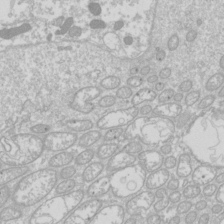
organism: Drosophila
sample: Cell division; meiosis; drosophila spermatocytes